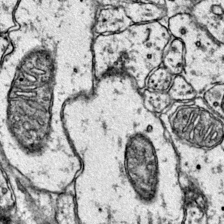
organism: Mouse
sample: Primary visual cortex